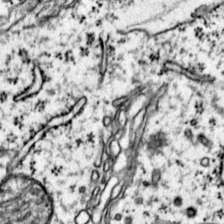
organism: Mouse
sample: Primary visual cortex